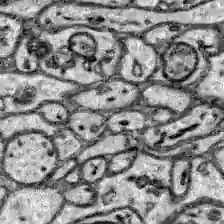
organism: Zebrafish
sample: Brain